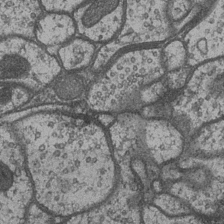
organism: Drosophila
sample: Optic medulla